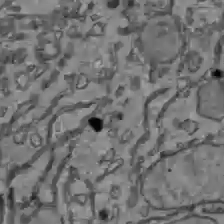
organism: C57BL Mouse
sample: Liver